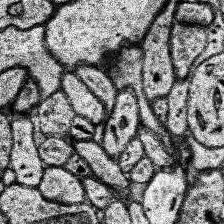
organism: Human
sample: Temporal Lobe